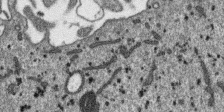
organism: Human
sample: Lung epithelial cells infected with SARS-CoV-2